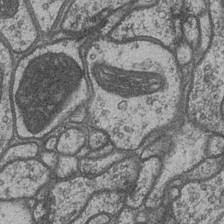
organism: Drosophila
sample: Optic medulla